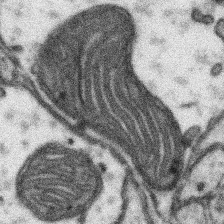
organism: Mouse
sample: Somatosensory cortex neuropil